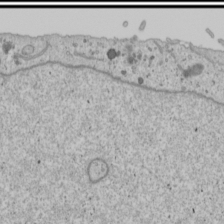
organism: Human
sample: Mitochondria in U2OS cells